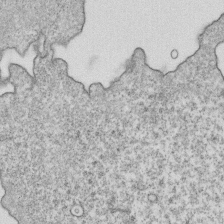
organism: Mouse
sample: Activated OT-1 CD8+ T cells